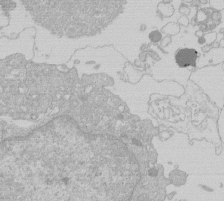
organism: Human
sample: Macrophage cells